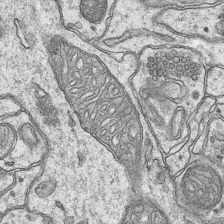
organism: Mouse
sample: CA1 Hippocampus